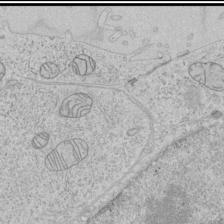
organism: Human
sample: Mitochondria in HCT116 cells